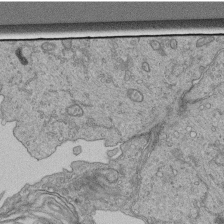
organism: Human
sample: Retinal organoid Rod and Cone cells